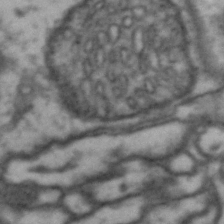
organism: Drosophila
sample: Brain